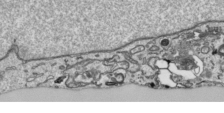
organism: Human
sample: Mitochondria in HCT116 cells